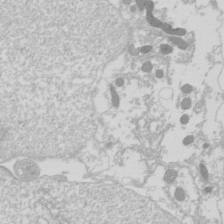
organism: Drosophila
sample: Cell division; meiosis; drosophila spermatocytes